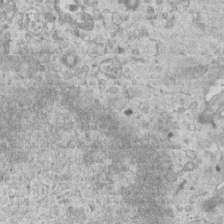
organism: Mouse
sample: Centriole in ependymal cells